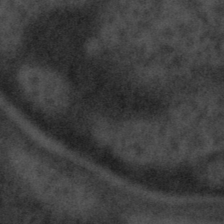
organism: Tuwongella immobilis